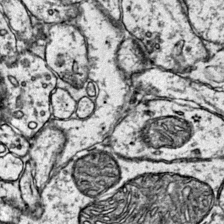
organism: Mouse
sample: Primary visual cortex